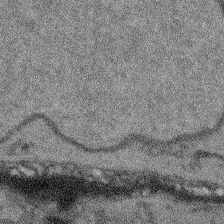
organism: Arabidopsis thaliana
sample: Root tip